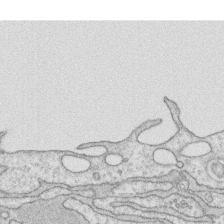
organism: Human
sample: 1205lu cells